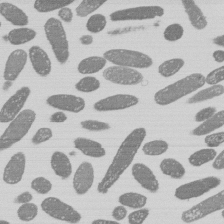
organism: E. coli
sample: Bacterial nucleoid